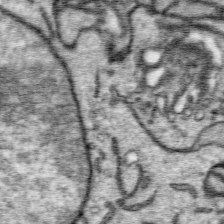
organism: Human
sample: HeLa cells